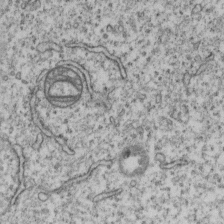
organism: Human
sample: MDA-MB-231 cells